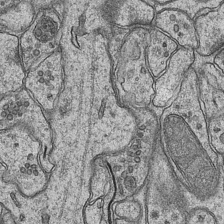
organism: Mouse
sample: CA1 Hippocampus